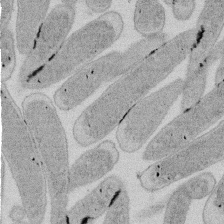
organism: E. coli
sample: Bacterial nucleoid